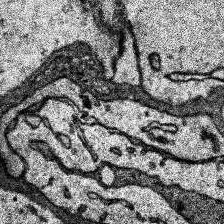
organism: Human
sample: Temporal Lobe